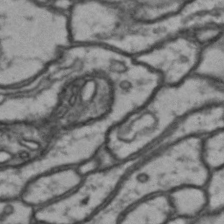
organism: Drosophila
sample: Brain